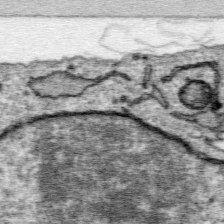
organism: Human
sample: HeLa cells